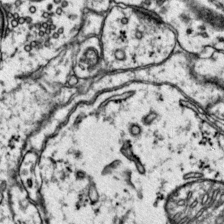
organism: Mouse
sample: Primary visual cortex